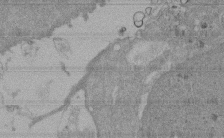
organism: Mouse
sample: ED-1 cell nuclei; centrioles